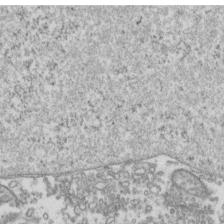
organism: Human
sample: Activated Jurkat CD4+ T cells